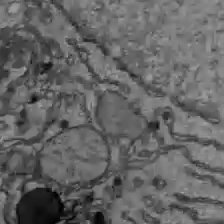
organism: C57BL Mouse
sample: Liver